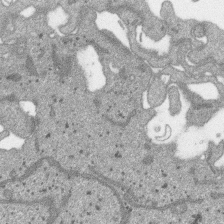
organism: Human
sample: Lung epithelial cells infected with SARS-CoV-2